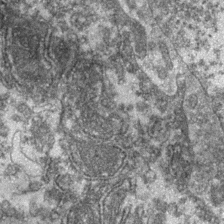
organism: Zebrafish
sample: Zebrafish embryo